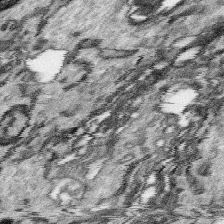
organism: Human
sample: HeLa cells